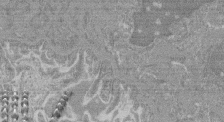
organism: Mouse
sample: Glomerulus